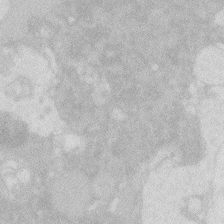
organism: Zebrafish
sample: Macrophage